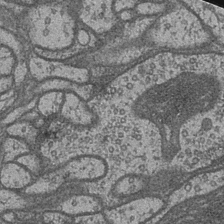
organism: Drosophila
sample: Optic medulla